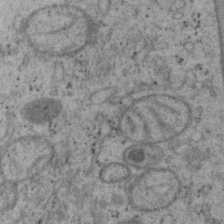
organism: Human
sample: HeLa cells